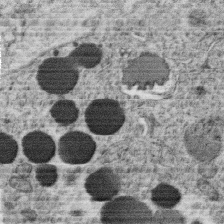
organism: C. elegans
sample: C. elegans oocyte; sperm cells